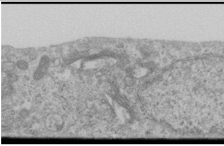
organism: Human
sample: Cilia; basal body in RPE cells